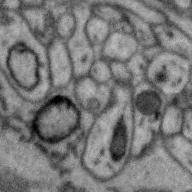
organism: Zebra finch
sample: Brain